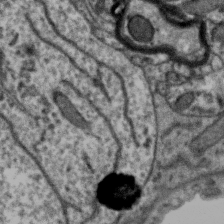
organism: Zebra finch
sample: Brain